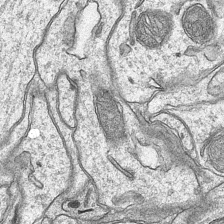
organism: Mouse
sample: CA1 Hippocampus